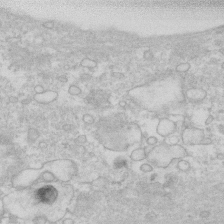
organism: Human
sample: Fibroblast cells